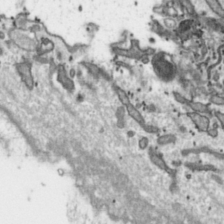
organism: Toxoplasma gondii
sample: Parasites in a vacuole inside a host cell